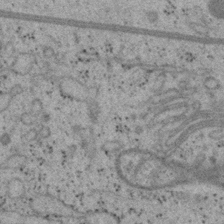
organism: Human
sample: HeLa cells